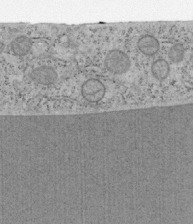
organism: Human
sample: HeLa cells